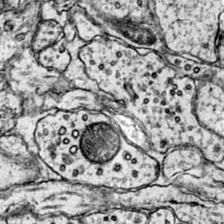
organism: Mouse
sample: Primary visual cortex